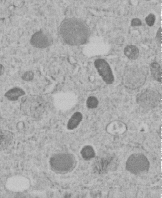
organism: C. elegans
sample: C. elegans embryo early stage